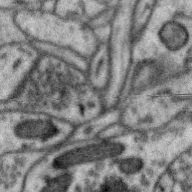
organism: Zebra finch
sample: Brain